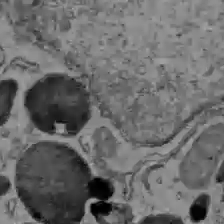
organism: C57BL Mouse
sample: Liver